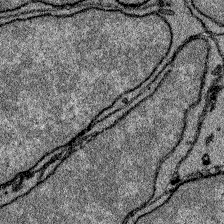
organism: Zebrafish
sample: Larval olfactory bulb